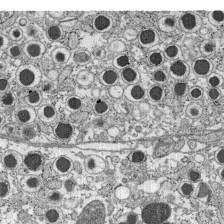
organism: C57BL Mouse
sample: Pancreatic islet